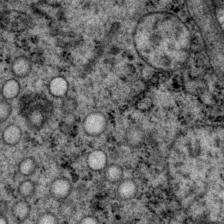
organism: P. pacificus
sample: Pharynx